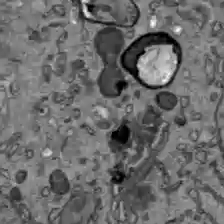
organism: C57BL Mouse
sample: Liver